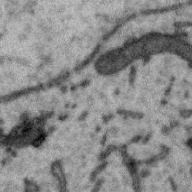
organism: Zebra finch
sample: Brain